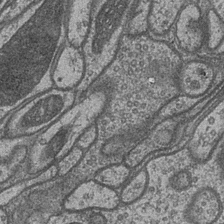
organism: Drosophila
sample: Optic medulla